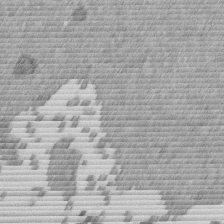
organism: Mouse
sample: Dividing mouse embryo 1 cell stage